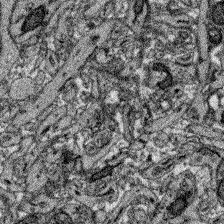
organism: Zebrafish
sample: Larval olfactory bulb